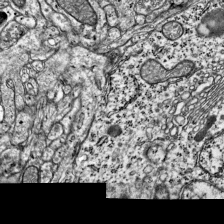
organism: Mouse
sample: Visual Cortex